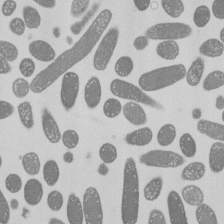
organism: E. coli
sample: Bacterial nucleoid